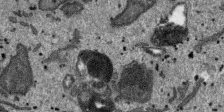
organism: Human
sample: Lung epithelial cells, uninfected (mock) control